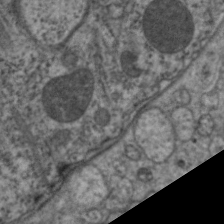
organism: C. elegans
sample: Pharynx